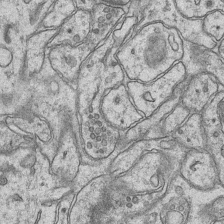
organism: Mouse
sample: CA1 Hippocampus